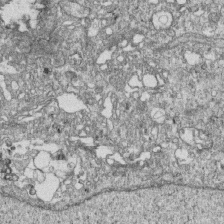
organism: Human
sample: HeLa cell HIV synapse